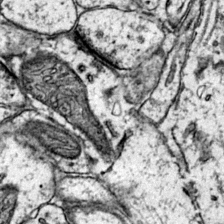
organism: Mouse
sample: Primary visual cortex